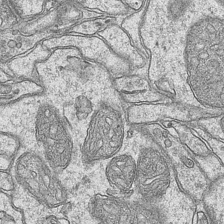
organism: Mouse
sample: CA1 Hippocampus